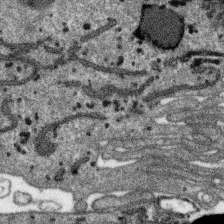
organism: Human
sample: Lung epithelial cells infected with SARS-CoV-2